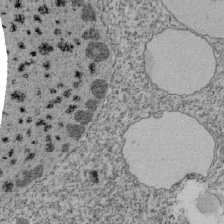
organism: Tetrahymena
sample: Cilia in tetrahymena